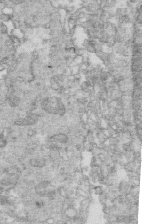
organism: Mouse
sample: Multiciliated cells